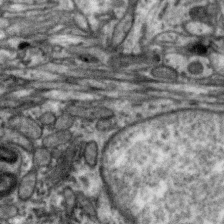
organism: Zebra finch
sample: Brain